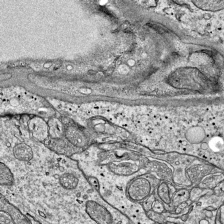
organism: Mouse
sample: Visual Cortex